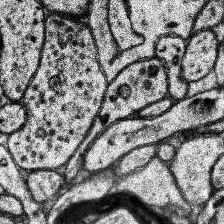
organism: Human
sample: Temporal Lobe